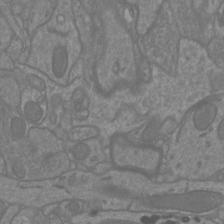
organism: Mouse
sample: Cortical neurons